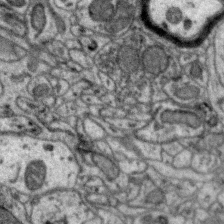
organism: Zebra finch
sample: Brain